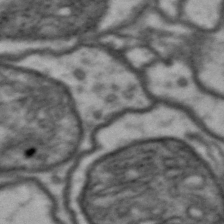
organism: Drosophila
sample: Brain